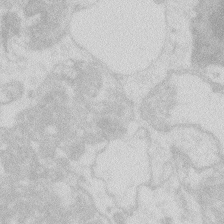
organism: Zebrafish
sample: Macrophage